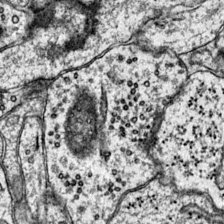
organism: Mouse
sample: Primary visual cortex